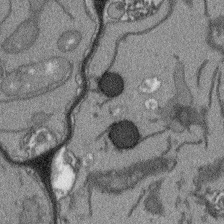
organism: Arabidopsis thaliana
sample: Root tip